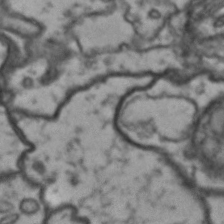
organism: Drosophila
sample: Brain